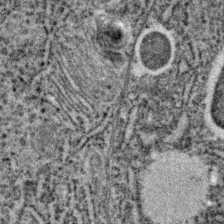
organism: C. elegans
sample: C. elegans embryo